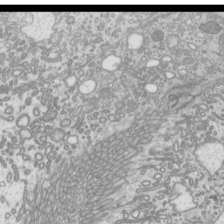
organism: Mouse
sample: Cilia; mouse epididymis